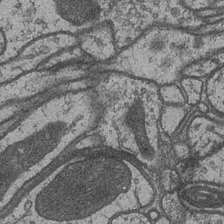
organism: Drosophila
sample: Optic medulla